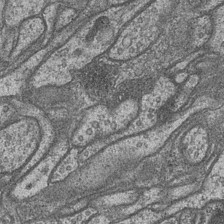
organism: Drosophila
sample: Optic medulla